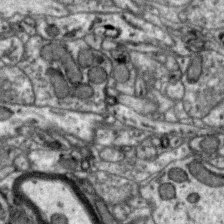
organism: Zebra finch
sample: Brain